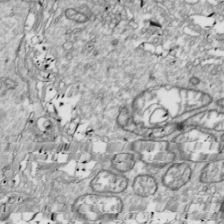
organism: Drosophila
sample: Cell division; meiosis; drosophila spermatocytes